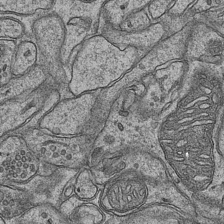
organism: Mouse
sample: CA1 Hippocampus